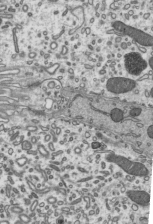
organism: Mouse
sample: Mouse epididymis efferent ductule cilia